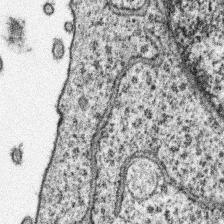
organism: Human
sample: HeLa cells